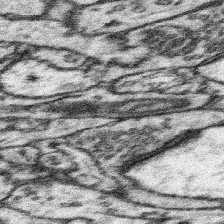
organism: Mouse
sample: Somatosensory cortex neuropil